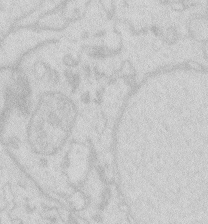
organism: Zebrafish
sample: Macrophage